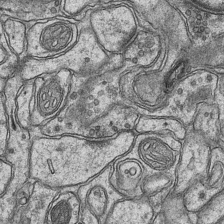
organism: Mouse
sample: CA1 Hippocampus